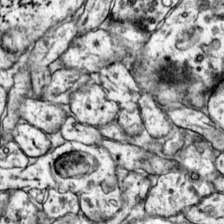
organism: Mouse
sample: Primary visual cortex